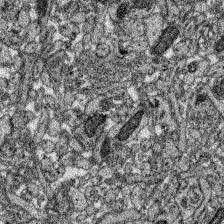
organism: Zebrafish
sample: Larval olfactory bulb